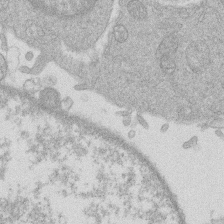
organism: Human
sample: Macrophage cells